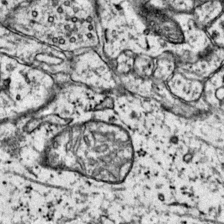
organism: Mouse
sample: Primary visual cortex